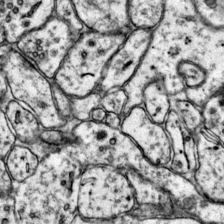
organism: Mouse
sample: Primary visual cortex